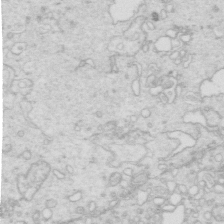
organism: Mouse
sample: Multiciliated cells